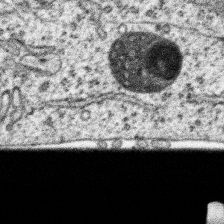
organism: Human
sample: HeLa cells